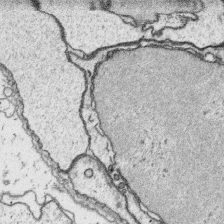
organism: Platynereis dumerilii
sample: Parapodia